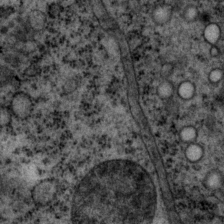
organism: P. pacificus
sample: Pharynx